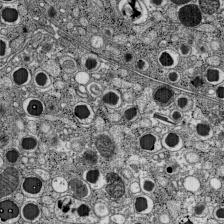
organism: C57BL Mouse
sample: Pancreatic islet